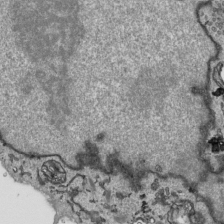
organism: Human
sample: Mitochondria in HCT116 cells